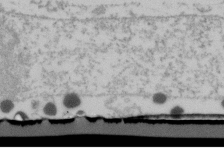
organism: Human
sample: U2-OS cells